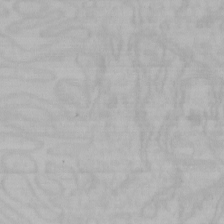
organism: Mouse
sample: Choroid plexus